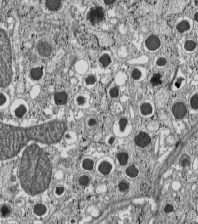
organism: C57BL Mouse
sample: Pancreatic islet